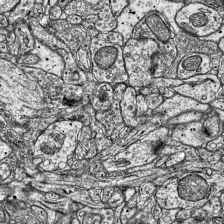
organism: Mouse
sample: Visual Cortex